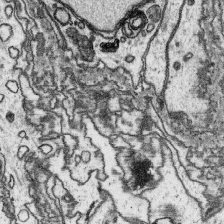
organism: Platynereis dumerilii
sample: Parapodia